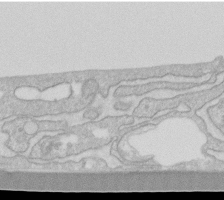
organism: Human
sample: Fibroblast cells